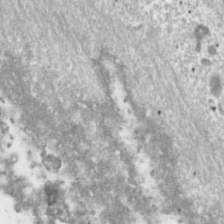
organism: Toxoplasma gondii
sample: Parasites in a vacuole inside a host cell